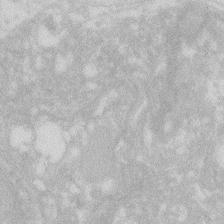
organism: Zebrafish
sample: Macrophage